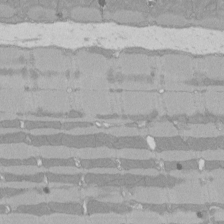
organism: Rat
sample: Left ventricle